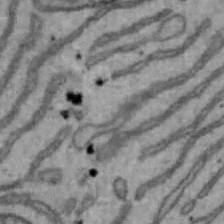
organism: Mouse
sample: Liver